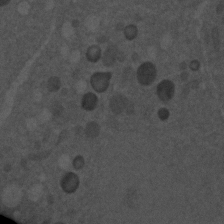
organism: C. elegans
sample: C. elegans embryo